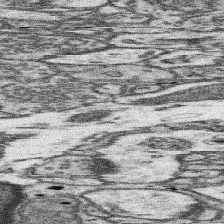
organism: Mouse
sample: Somatosensory cortex neuropil